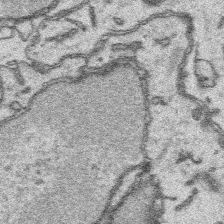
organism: Platynereis dumerilii